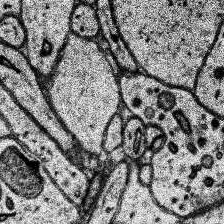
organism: Human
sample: Temporal Lobe